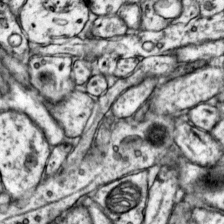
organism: Mouse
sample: Primary visual cortex